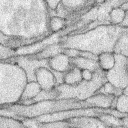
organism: Rabbit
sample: Retina